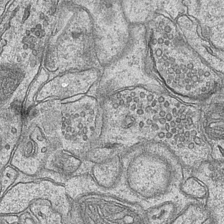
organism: Mouse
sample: CA1 Hippocampus